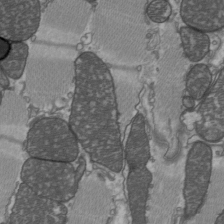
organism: C57BL Mouse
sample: Heart